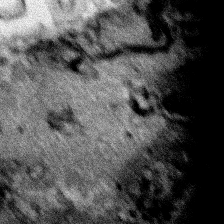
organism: Human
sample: Mitochondria in HCT116 cells